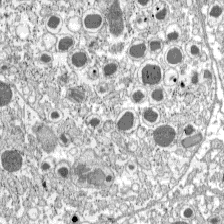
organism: C57BL Mouse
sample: Pancreatic islet